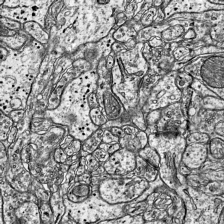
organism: Mouse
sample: Visual Cortex